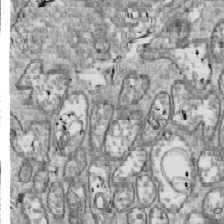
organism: Drosophila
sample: Cell division; meiosis; drosophila spermatocytes